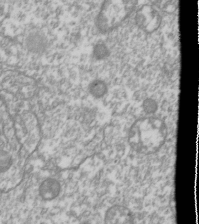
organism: Drosophila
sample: Cell division; meiosis; drosophila spermatocytes